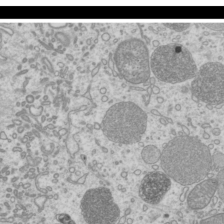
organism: Mouse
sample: Cilia; mouse epididymis